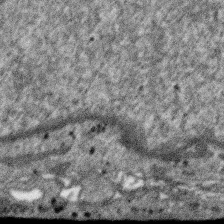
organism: Human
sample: Lung epithelial cells infected with SARS-CoV-2